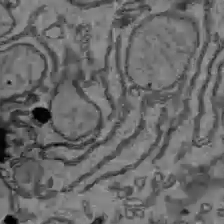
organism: C57BL Mouse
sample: Liver